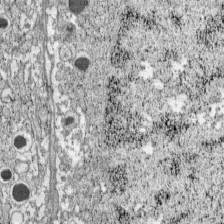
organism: C57BL Mouse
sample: Pancreatic islet